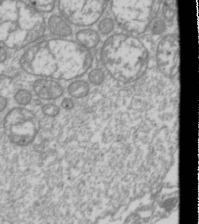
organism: Drosophila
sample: Cell division; meiosis; drosophila spermatocytes